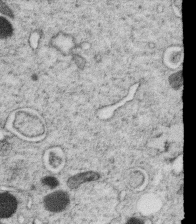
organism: C. elegans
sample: C. elegans oocyte; sperm cells